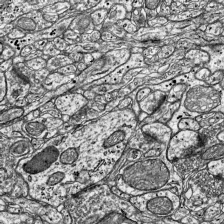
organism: Mouse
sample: Visual Cortex